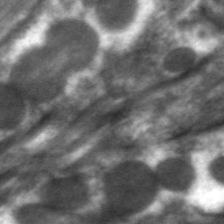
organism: C. elegans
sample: Pharynx